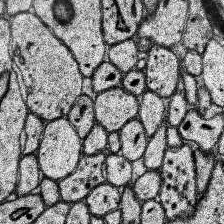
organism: Human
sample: Temporal Lobe